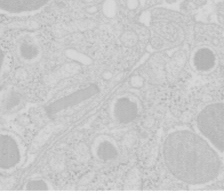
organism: Mouse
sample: Pancreas